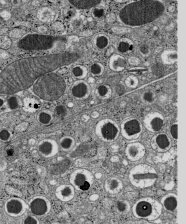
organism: C57BL Mouse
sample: Pancreatic islet